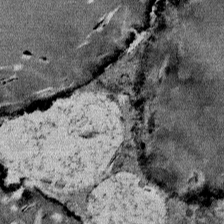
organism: Mouse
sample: Mouse Salivary gland